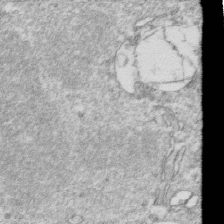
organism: Mouse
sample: Activated OT-1 CD8+ T cells